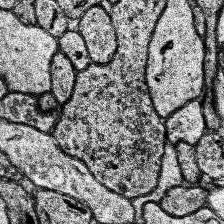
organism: Human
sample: Temporal Lobe